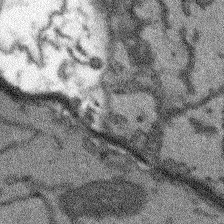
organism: Arabidopsis thaliana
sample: Root tip